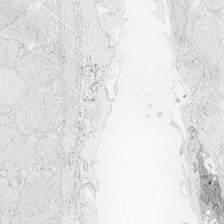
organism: Zebrafish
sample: Whole-Brain